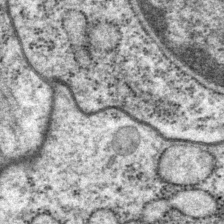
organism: P. pacificus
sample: Pharynx